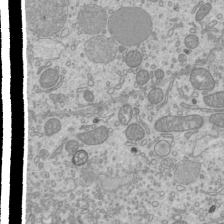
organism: Mouse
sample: Cilia; mouse epididymis